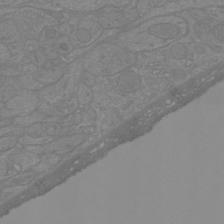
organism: Mouse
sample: Cortical neurons